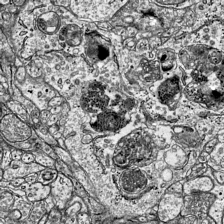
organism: Mouse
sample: Visual Cortex